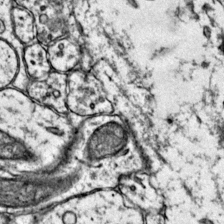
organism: Mouse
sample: Primary visual cortex